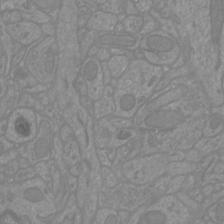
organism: Mouse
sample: Cortical neurons